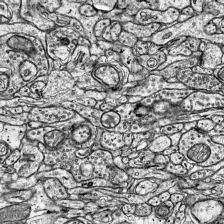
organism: Mouse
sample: Visual Cortex